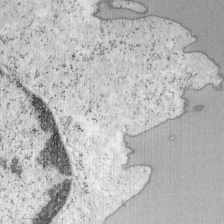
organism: Mouse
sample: OT-I killer T cells with ID8 ovarian cancer cells